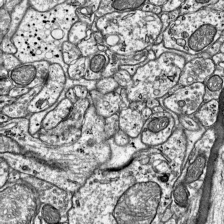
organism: Mouse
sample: Visual Cortex